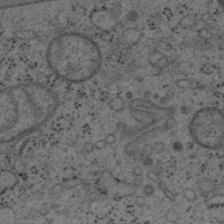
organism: Human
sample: HeLa cells